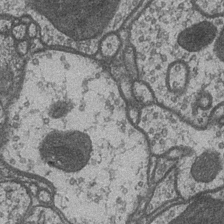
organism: Drosophila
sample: Optic medulla